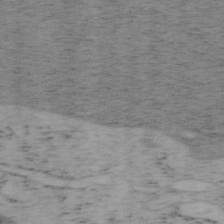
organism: Mouse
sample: OT-I killer T cells with ID8 ovarian cancer cells